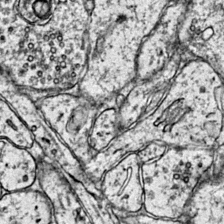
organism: Mouse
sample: Primary visual cortex